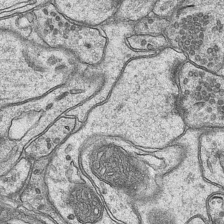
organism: Mouse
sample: CA1 Hippocampus